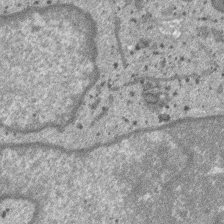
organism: Human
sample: Lung epithelial cells infected with SARS-CoV-2